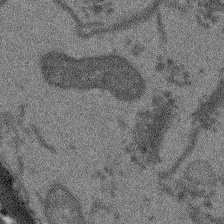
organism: Arabidopsis thaliana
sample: Root tip